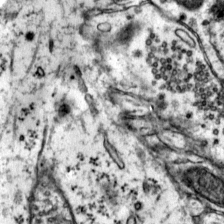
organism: Mouse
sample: Primary visual cortex